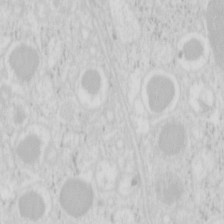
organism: Mouse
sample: Pancreas